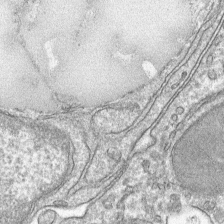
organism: Mouse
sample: Mouse hepatocytes